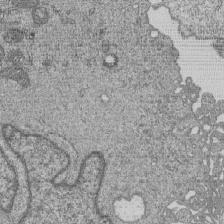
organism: Human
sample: MDA-MB-231 cells